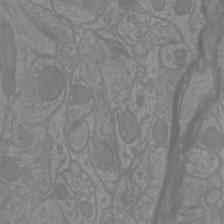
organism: Mouse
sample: Cortical neurons